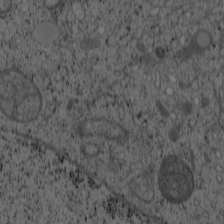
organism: African green monkey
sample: COS-7 cells